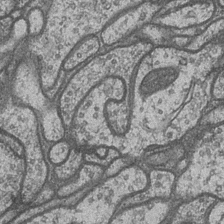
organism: Drosophila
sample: Optic medulla